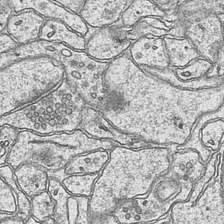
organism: Mouse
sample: CA1 Hippocampus